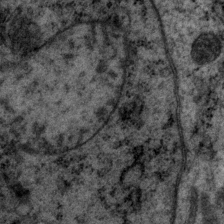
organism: P. pacificus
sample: Pharynx